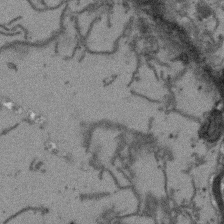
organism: Arabidopsis thaliana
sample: Root tip